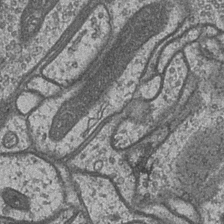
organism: Drosophila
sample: Optic medulla